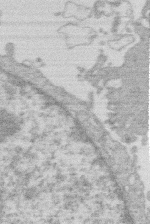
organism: Human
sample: Macrophage cells